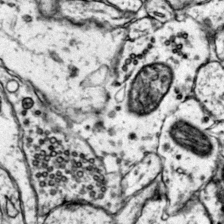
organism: Mouse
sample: Primary visual cortex